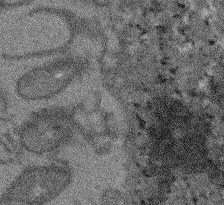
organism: Arabidopsis thaliana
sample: Root tip